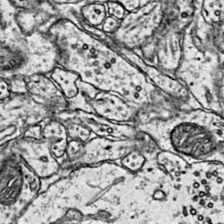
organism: Mouse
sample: Primary visual cortex